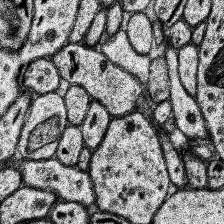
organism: Human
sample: Temporal Lobe